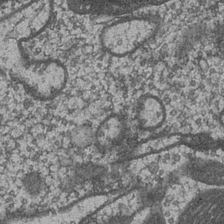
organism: Drosophila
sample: Optic medulla